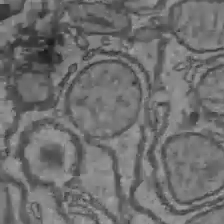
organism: C57BL Mouse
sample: Liver